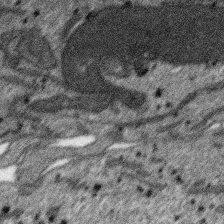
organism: Human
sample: Lung epithelial cells infected with SARS-CoV-2